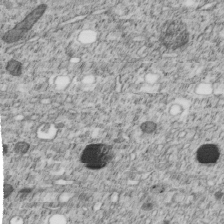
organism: C. elegans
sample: C. elegans embryo early stage